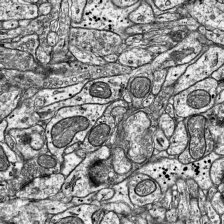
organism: Mouse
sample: Visual Cortex